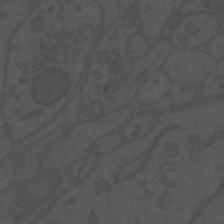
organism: Mouse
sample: Suprachiasmatic nucleus